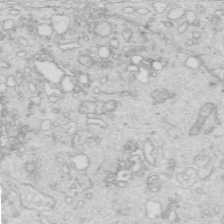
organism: Mouse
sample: Multiciliated cells